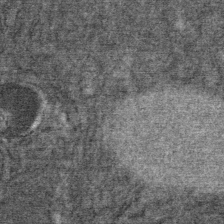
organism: Mouse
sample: Mouse Salivary gland